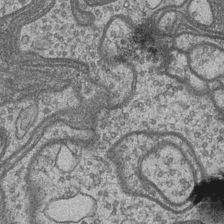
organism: Drosophila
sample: Optic medulla